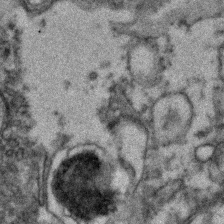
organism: Zebrafish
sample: Zebrafish embryo